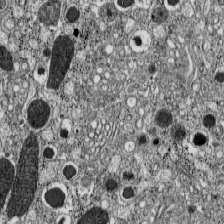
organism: C57BL Mouse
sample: Pancreatic islet